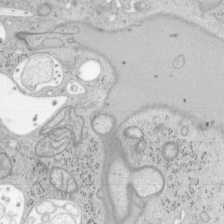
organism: Mouse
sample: OT-I killer T cells with ID8 ovarian cancer cells